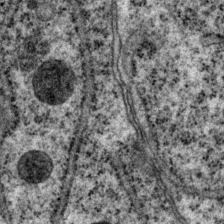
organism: P. pacificus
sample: Pharynx